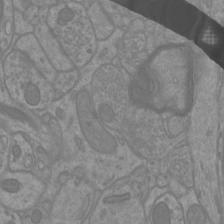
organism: Mouse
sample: Cortical neurons